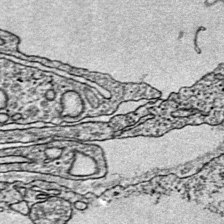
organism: Mouse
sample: Primary visual cortex